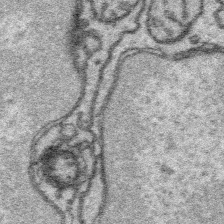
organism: Platynereis dumerilii